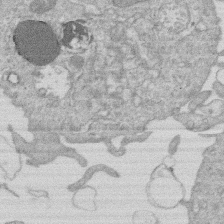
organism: Human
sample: Macrophage cells